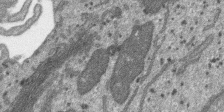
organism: Human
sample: Lung epithelial cells infected with SARS-CoV-2